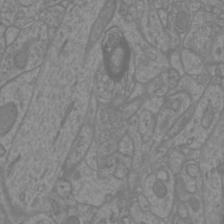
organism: Mouse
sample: Cortical neurons